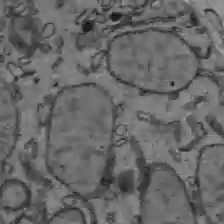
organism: C57BL Mouse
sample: Liver